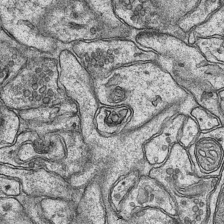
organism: Mouse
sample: CA1 Hippocampus